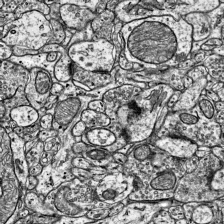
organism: Mouse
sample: Visual Cortex